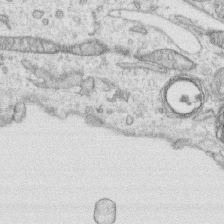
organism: Human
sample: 1205lu cells